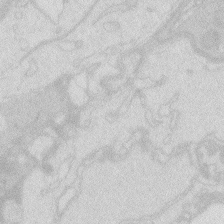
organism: Zebrafish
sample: Macrophage